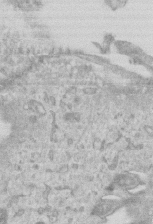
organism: Mouse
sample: Centriole in ependymal cells